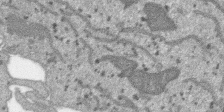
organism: Human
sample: Lung epithelial cells infected with SARS-CoV-2